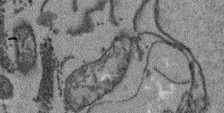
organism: Arabidopsis thaliana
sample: Root tip